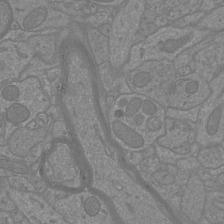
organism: Mouse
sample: Cortical neurons